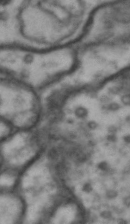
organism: Drosophila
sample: Brain